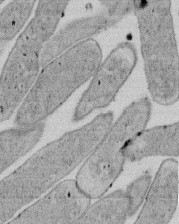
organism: E. coli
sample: Bacterial nucleoid